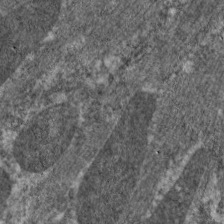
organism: C. elegans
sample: Pharynx